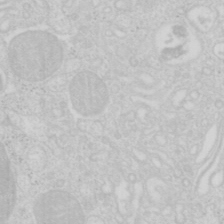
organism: Mouse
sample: Pancreas